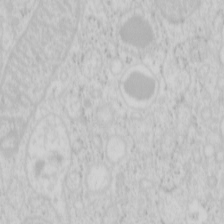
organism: Mouse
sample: Pancreas